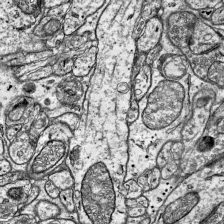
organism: Mouse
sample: Visual Cortex